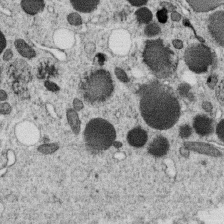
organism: C. elegans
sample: C. elegans oocyte; sperm cells